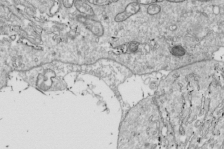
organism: Drosophila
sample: Cell division; meiosis; drosophila spermatocytes